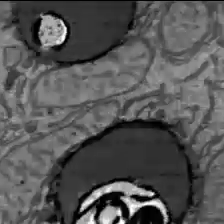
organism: C57BL Mouse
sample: Liver